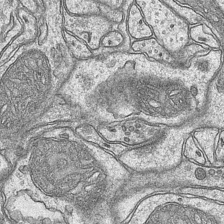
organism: Mouse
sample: CA1 Hippocampus